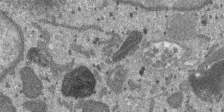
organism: Human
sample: Lung epithelial cells infected with SARS-CoV-2